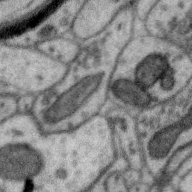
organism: Zebra finch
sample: Brain